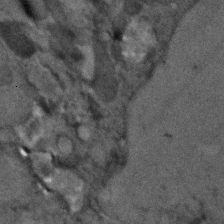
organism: Human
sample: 1205lu cells